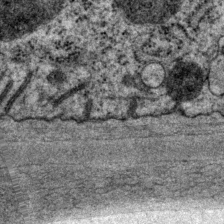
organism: P. pacificus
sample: Pharynx